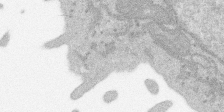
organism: Human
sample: Lung epithelial cells infected with SARS-CoV-2